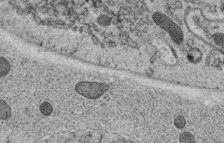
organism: C. elegans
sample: C. elegans oocyte; sperm cells